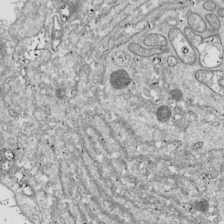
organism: Drosophila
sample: Cell division; meiosis; drosophila spermatocytes